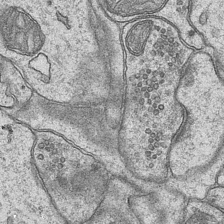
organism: Mouse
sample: CA1 Hippocampus